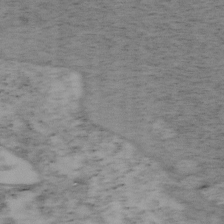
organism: Mouse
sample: OT-I killer T cells with ID8 ovarian cancer cells